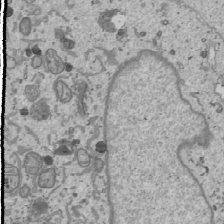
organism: Human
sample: Mitochondria in U2OS cells